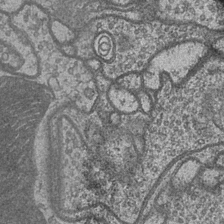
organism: Drosophila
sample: Optic medulla